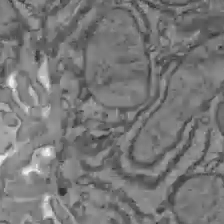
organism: C57BL Mouse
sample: Liver